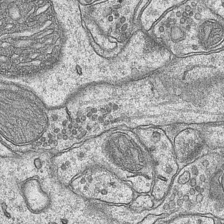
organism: Mouse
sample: CA1 Hippocampus